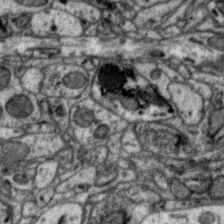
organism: Zebra finch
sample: Brain